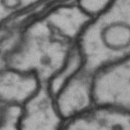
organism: Drosophila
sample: Brain